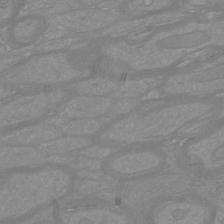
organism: Mouse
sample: Cortical neurons